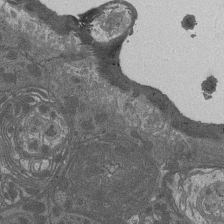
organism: Drosophila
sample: Antenna